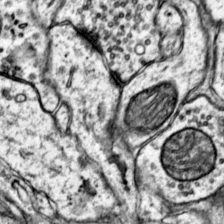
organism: Mouse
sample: Primary visual cortex